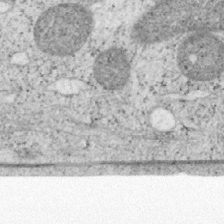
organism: Mouse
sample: OT-I killer T cells with ID8 ovarian cancer cells